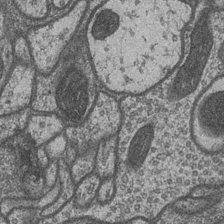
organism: Drosophila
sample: Optic medulla